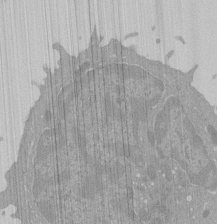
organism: Mouse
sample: Activated Pmel transgenic CD8+ T Cells